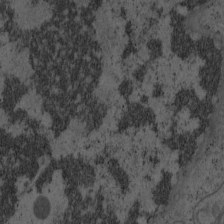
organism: Mouse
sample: OT-I killer T cells with ID8 ovarian cancer cells